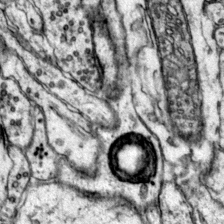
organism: Mouse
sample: Primary visual cortex